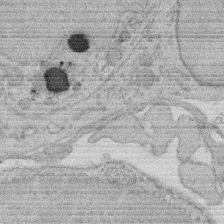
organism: Rat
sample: Salivary granule